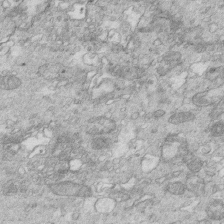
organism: Mouse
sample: Multiciliated cells